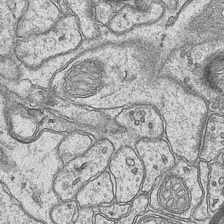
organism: Mouse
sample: CA1 Hippocampus